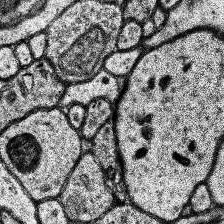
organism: Human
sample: Temporal Lobe